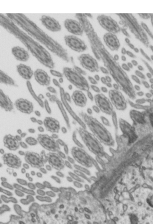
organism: Mouse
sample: Mouse epididymis efferent ductule cilia